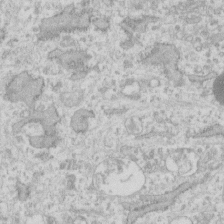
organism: Human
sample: Fibroblast cells